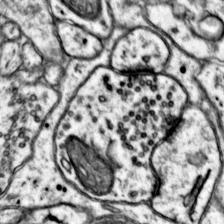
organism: Mouse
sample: Primary visual cortex